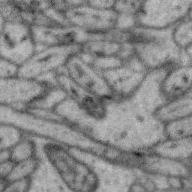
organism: Zebra finch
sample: Brain